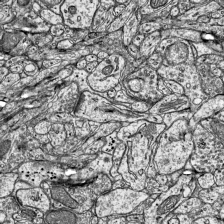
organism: Mouse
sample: Visual Cortex